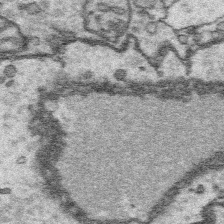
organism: Platynereis dumerilii